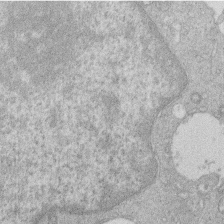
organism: Human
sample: Macrophage cells